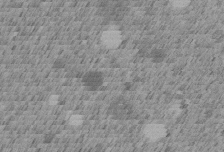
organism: C. elegans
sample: C. elegans embryo early stage